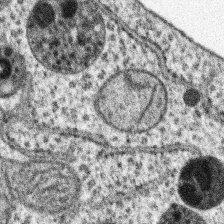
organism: Human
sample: HeLa cells